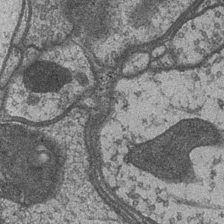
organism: Drosophila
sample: Optic medulla